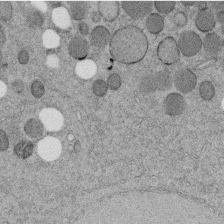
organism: C. elegans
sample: C. elegans embryo early stage